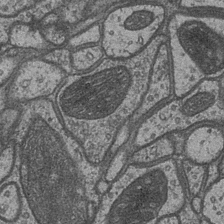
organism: Drosophila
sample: Optic medulla